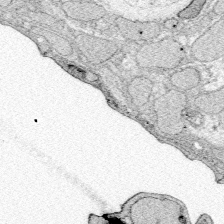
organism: Zebrafish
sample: Whole-Brain